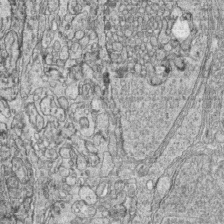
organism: Zebrafish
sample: synaptic ribbons in rod cells and cone cells